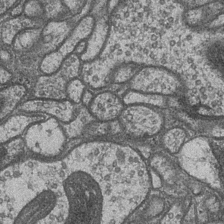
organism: Drosophila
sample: Optic medulla